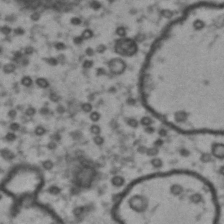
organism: Drosophila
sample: Brain